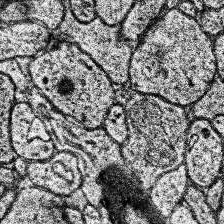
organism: Human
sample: Temporal Lobe